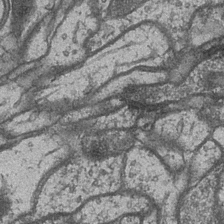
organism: Drosophila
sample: Optic medulla